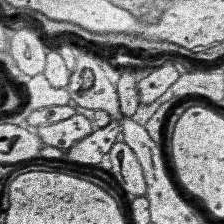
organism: Human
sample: Temporal Lobe